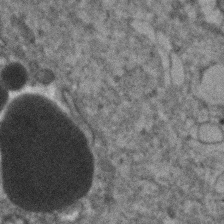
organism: Human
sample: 1205lu cells